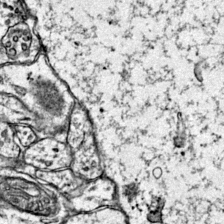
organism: Mouse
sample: Primary visual cortex